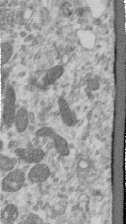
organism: Human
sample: Centriole in RPE cells